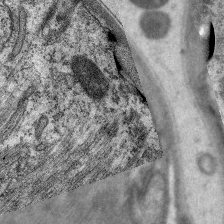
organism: C. elegans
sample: Pharynx